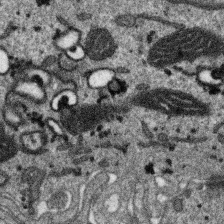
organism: Human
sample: Lung epithelial cells infected with SARS-CoV-2